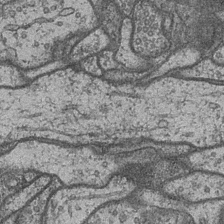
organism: Drosophila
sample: Optic medulla